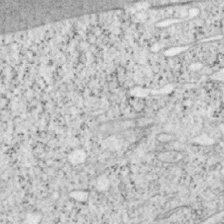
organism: Mouse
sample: OT-I killer T cells with ID8 ovarian cancer cells